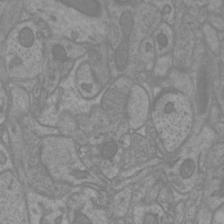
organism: Mouse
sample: Cortical neurons